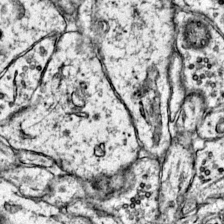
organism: Mouse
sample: Primary visual cortex